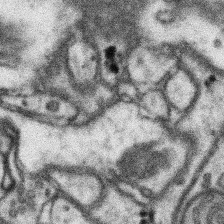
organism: Mouse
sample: Somatosensory cortex neuropil